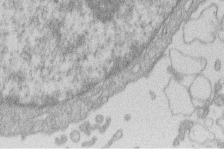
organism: Human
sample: Macrophage cells